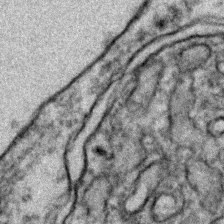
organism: Zebrafish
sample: Zebrafish embryo